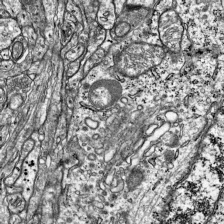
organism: Mouse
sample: Visual Cortex